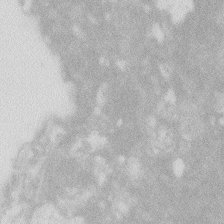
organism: Zebrafish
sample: Macrophage